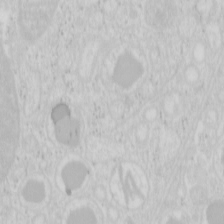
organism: Mouse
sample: Pancreas